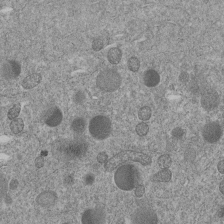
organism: C. elegans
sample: C. elegans embryo early stage